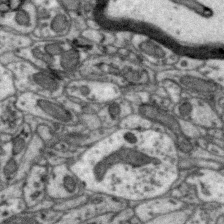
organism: Zebra finch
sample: Brain